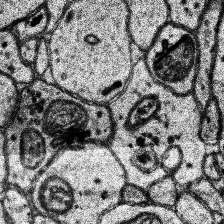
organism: Human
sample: Temporal Lobe